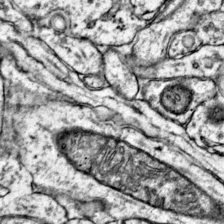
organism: Mouse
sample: Primary visual cortex